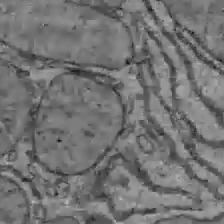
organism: C57BL Mouse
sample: Liver